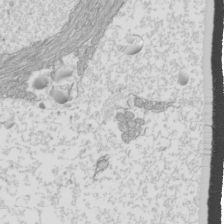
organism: Mouse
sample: Cilia; mouse epididymis